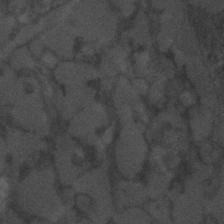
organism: C. elegans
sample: C. elegans embryo